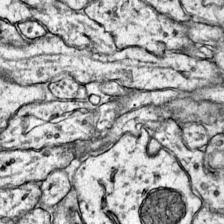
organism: Mouse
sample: Primary visual cortex